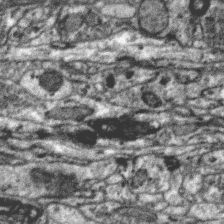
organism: Zebra finch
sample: Brain